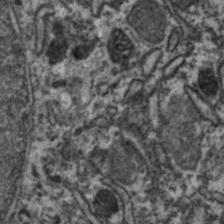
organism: Zebrafish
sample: Zebrafish embryo